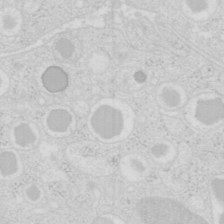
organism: Mouse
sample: Pancreas